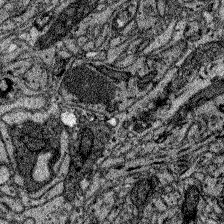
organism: Zebrafish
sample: Larval olfactory bulb